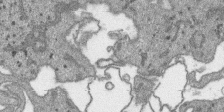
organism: Human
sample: Lung epithelial cells infected with SARS-CoV-2